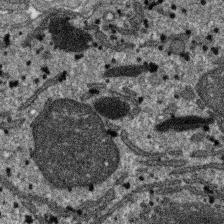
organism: Human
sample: Lung epithelial cells infected with SARS-CoV-2